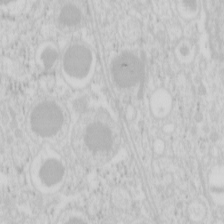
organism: Mouse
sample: Pancreas